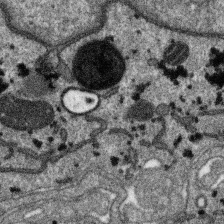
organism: Human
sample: Lung epithelial cells infected with SARS-CoV-2